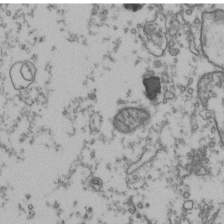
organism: Human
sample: Activated Jurkat CD4+ T cells